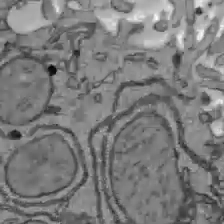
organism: C57BL Mouse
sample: Liver